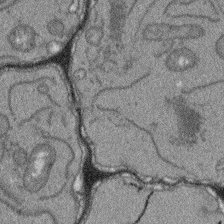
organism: Arabidopsis thaliana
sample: Root tip